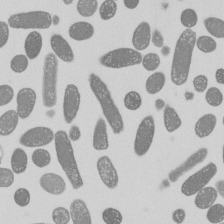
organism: E. coli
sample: Bacterial nucleoid